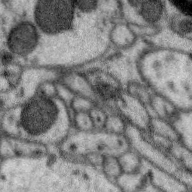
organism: Zebra finch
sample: Brain